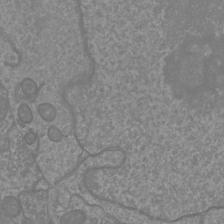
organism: Mouse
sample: Cortical neurons